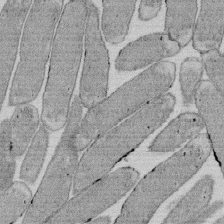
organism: E. coli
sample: Bacterial nucleoid